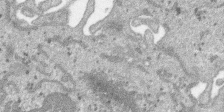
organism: Human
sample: Lung epithelial cells infected with SARS-CoV-2